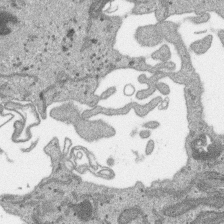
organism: Human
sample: Lung epithelial cells infected with SARS-CoV-2